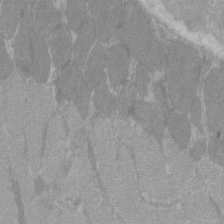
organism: C57BL Mouse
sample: Tibialis anterior muscle cell